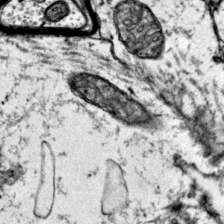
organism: Mouse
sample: Primary visual cortex